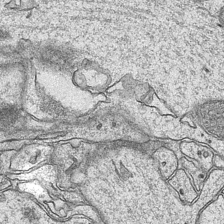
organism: Mouse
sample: CA1 Hippocampus